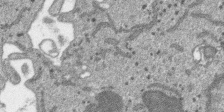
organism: Human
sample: Lung epithelial cells infected with SARS-CoV-2